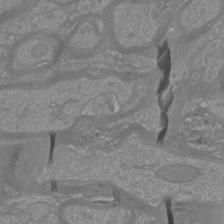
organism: Mouse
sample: Cortical neurons